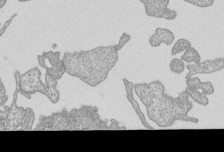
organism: Human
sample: MDA-MB-231 cells